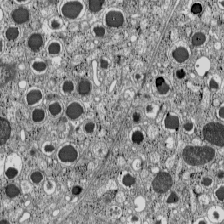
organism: C57BL Mouse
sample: Pancreatic islet